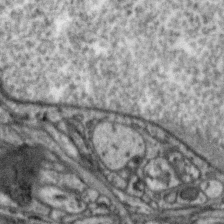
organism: Zebra finch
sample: Brain